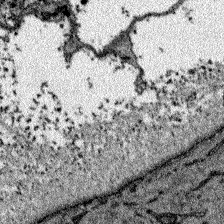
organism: Zebrafish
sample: Larval olfactory bulb